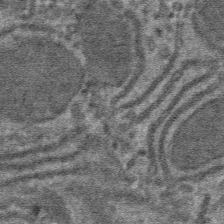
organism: Mouse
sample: Mouse hepatocytes